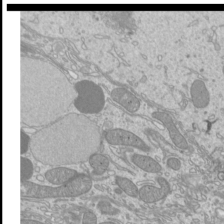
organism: Mouse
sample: Cilia; mouse epididymis